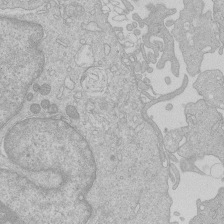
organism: Human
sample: Macrophage cells